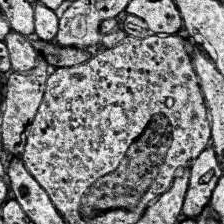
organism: Human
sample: Temporal Lobe